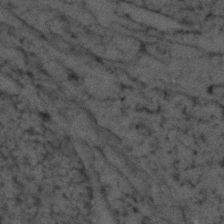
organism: Zebrafish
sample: Zebrafish embryo